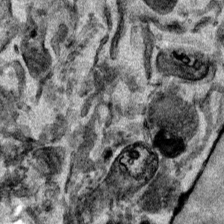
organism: Mouse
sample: Cancer cell death in ED-1 cells